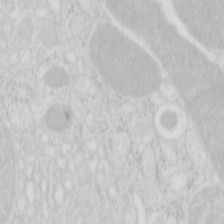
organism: Mouse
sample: Pancreas